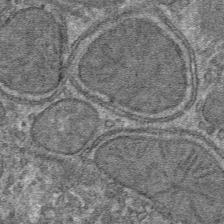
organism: Mouse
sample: Mouse hepatocytes